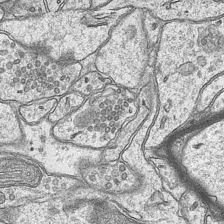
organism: Mouse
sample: CA1 Hippocampus